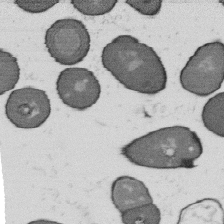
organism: B. subtilis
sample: Bacterial spore